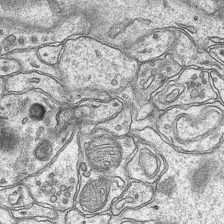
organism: Mouse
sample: CA1 Hippocampus